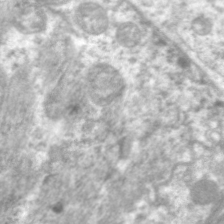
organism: C. elegans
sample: Pharynx